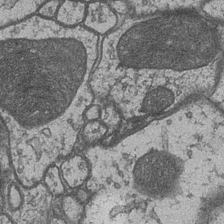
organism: Drosophila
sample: Optic medulla